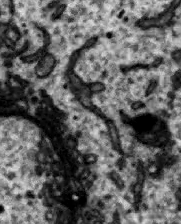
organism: Human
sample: HeLa cells